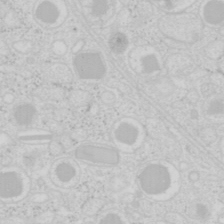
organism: Mouse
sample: Pancreas